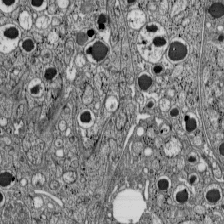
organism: C57BL Mouse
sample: Pancreatic islet